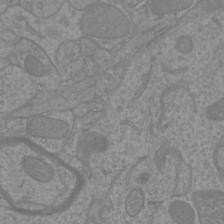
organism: Mouse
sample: Cortical neurons